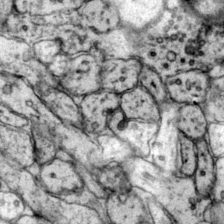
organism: Mouse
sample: Primary visual cortex